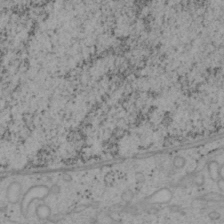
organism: Human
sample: HeLa cells